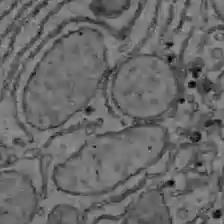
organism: C57BL Mouse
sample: Liver